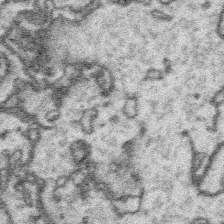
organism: Platynereis dumerilii